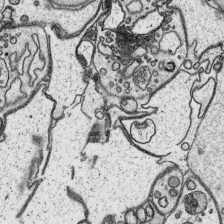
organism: Platynereis dumerilii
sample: Parapodia